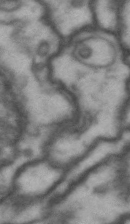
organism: Drosophila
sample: Brain